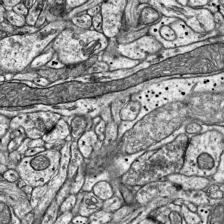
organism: Mouse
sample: Visual Cortex